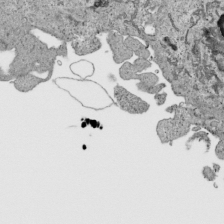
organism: Human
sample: Mitochondria in HCT116 cells